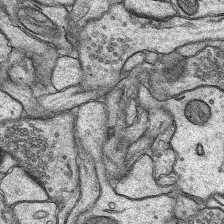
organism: Rat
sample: Hippocampus